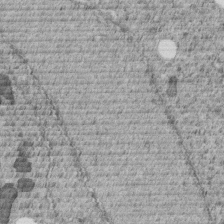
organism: C. elegans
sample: C. elegans embryo early stage